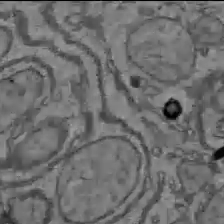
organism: C57BL Mouse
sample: Liver